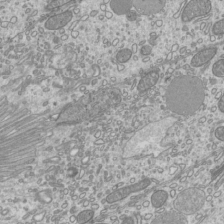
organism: Mouse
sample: Cilia; mouse epididymis